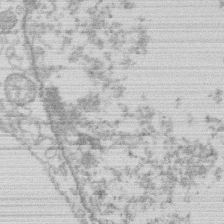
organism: Human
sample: Macrophage cells